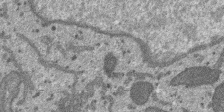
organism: Human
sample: Lung epithelial cells infected with SARS-CoV-2